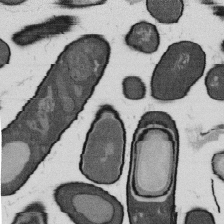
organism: B. subtilis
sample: Bacterial spore